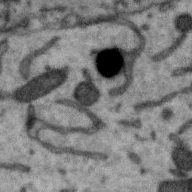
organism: Zebra finch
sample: Brain